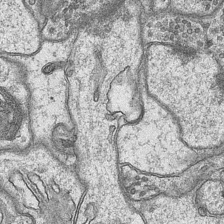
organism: Mouse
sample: CA1 Hippocampus